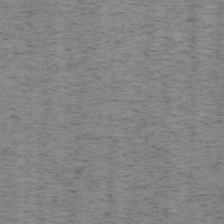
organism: Mouse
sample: OT-I killer T cells with ID8 ovarian cancer cells